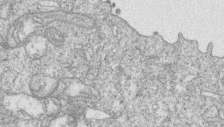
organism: Human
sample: HeLa cell HIV synapse